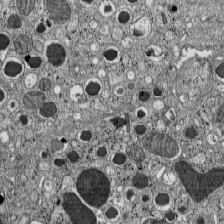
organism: C57BL Mouse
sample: Pancreatic islet